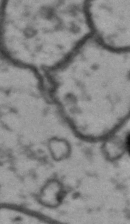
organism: Drosophila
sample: Brain